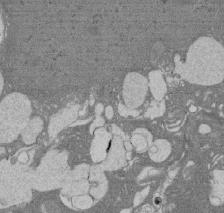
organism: Rat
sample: Salivary granule